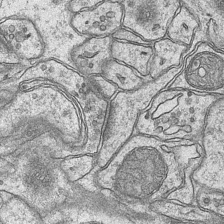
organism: Mouse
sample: CA1 Hippocampus